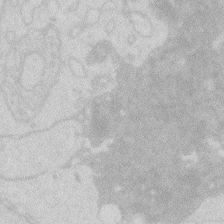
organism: Zebrafish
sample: Macrophage